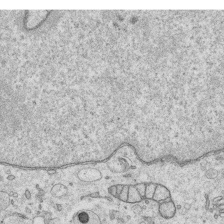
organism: Human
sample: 1205lu cells